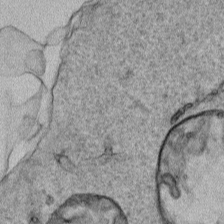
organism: Human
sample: Mitochondria in HCT116 cells